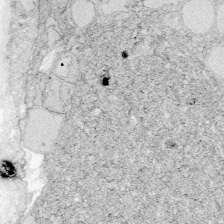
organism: Zebrafish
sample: Whole-Brain